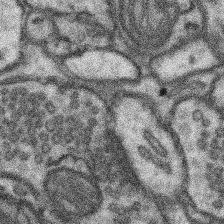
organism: Mouse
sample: Somatosensory cortex neuropil